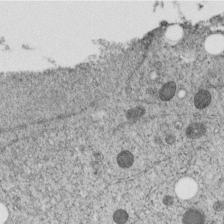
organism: C. elegans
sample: C. elegans embryo early stage